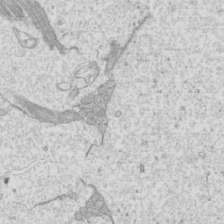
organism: Mouse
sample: Cilia; mouse epididymis